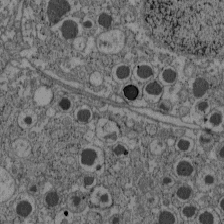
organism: C57BL Mouse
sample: Pancreatic islet